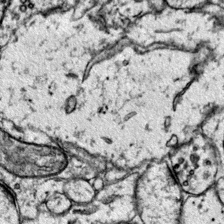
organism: Mouse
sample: Primary visual cortex